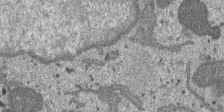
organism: Human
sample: Lung epithelial cells infected with SARS-CoV-2